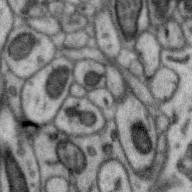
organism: Zebra finch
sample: Brain